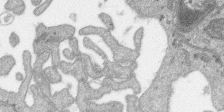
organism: Human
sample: Lung epithelial cells infected with SARS-CoV-2